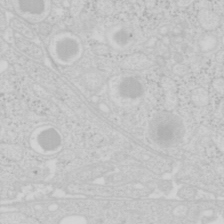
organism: Mouse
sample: Pancreas